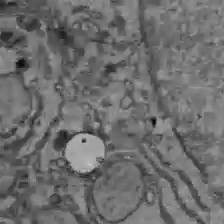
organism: C57BL Mouse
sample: Liver